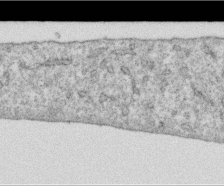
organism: Human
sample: Centriole in RPE cells